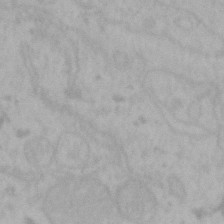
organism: Mouse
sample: Choroid plexus